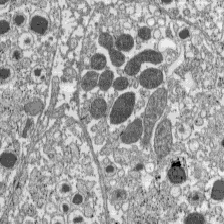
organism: C57BL Mouse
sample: Pancreatic islet